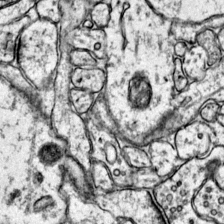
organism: Mouse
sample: Primary visual cortex